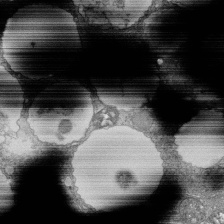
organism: Tetrahymena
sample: Cilia in tetrahymena